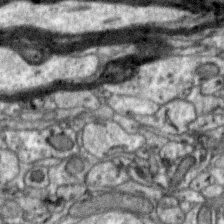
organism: Zebra finch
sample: Brain